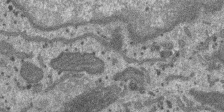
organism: Human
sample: Lung epithelial cells infected with SARS-CoV-2